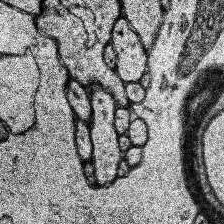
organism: Human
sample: Temporal Lobe